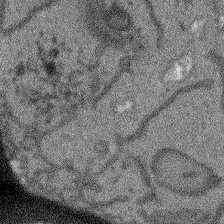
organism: Arabidopsis thaliana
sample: Root tip